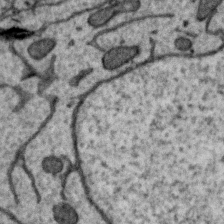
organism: Zebra finch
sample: Brain